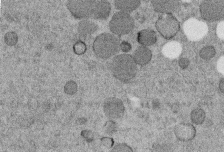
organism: C. elegans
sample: C. elegans embryo early stage